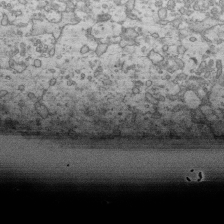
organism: Human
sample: Activated Jurkat CD4+ T cells